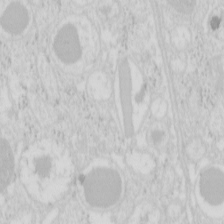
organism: Mouse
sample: Pancreas